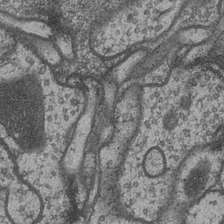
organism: Drosophila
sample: Optic medulla